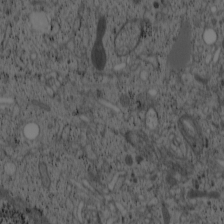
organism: African green monkey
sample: COS-7 cells